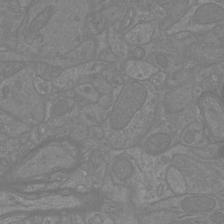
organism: Mouse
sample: Cortical neurons